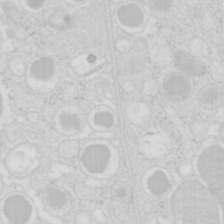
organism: Mouse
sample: Pancreas